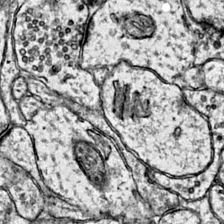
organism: Mouse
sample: Primary visual cortex